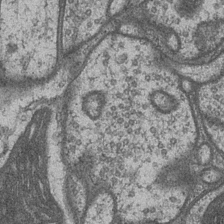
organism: Drosophila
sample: Optic medulla